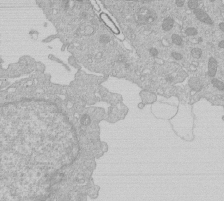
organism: Human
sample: Macrophage cells